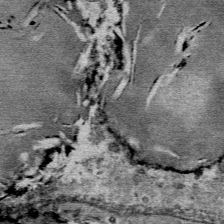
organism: Mouse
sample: Mouse Salivary gland